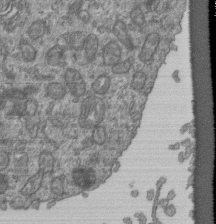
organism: Human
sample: Retinal organoid Rod and Cone cells